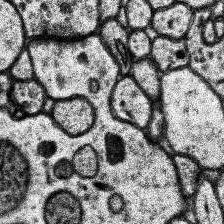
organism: Human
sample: Temporal Lobe